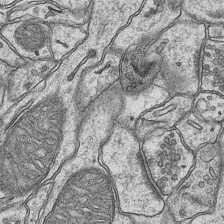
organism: Mouse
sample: CA1 Hippocampus